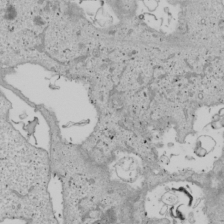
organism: Human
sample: Mitochondria in U2OS cells